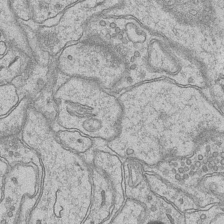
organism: Mouse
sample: CA1 Hippocampus